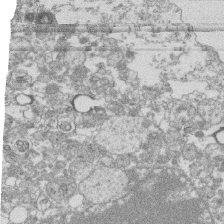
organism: Human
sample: HeLa cell HIV synapse